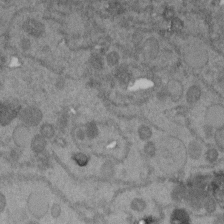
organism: C. elegans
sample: C. elegans embryo early stage